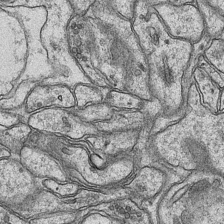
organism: Mouse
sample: CA1 Hippocampus